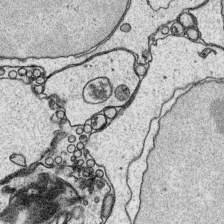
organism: Platynereis dumerilii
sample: Parapodia